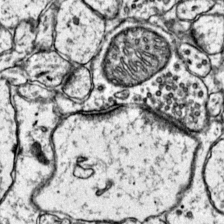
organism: Mouse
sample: Primary visual cortex